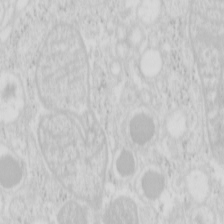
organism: Mouse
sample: Pancreas